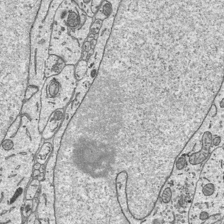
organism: Mouse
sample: Suprachiasmatic nucleus